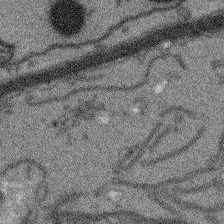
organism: Arabidopsis thaliana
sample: Root tip